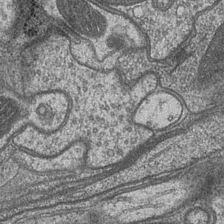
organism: Drosophila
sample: Optic medulla